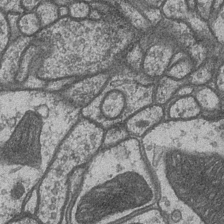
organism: Drosophila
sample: Optic medulla